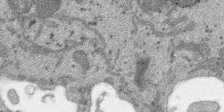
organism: Human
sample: Lung epithelial cells infected with SARS-CoV-2